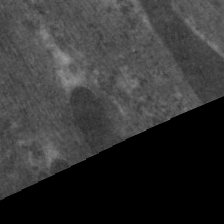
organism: C. elegans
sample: Pharynx